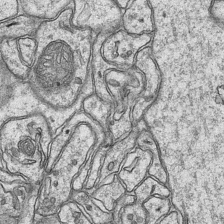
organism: Mouse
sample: CA1 Hippocampus